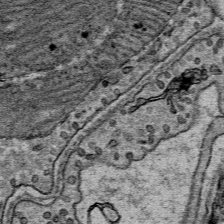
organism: Mouse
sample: Mouse Salivary gland